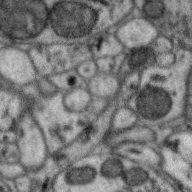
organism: Zebra finch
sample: Brain